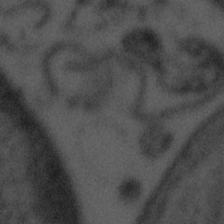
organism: Tuwongella immobilis